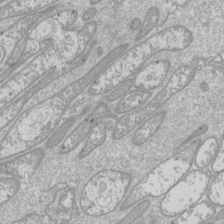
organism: Drosophila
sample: Cell division; meiosis; drosophila spermatocytes